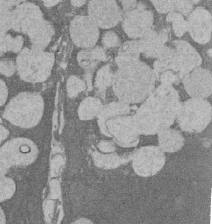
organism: Rat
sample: Salivary granule